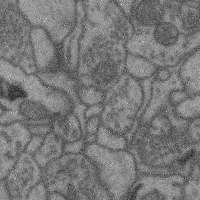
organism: Mouse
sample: Cerebral cortex